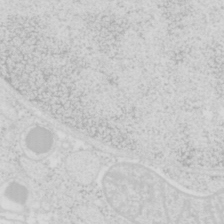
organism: Mouse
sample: Pancreas